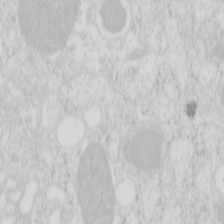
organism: Mouse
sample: Pancreas